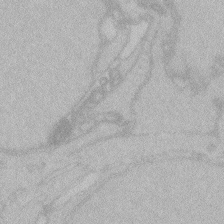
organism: Zebrafish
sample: Macrophage infected with Toxoplasma gondii